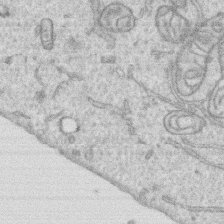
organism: Human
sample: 1205lu cells